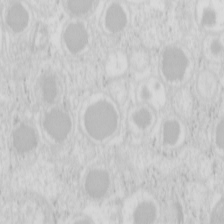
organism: Mouse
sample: Pancreas